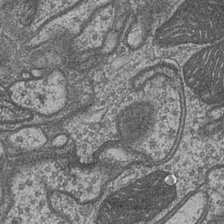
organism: Drosophila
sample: Optic medulla